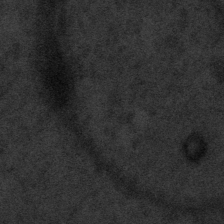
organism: Tuwongella immobilis